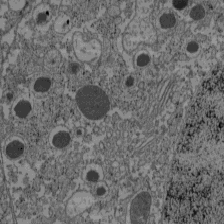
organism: C57BL Mouse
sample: Pancreatic islet